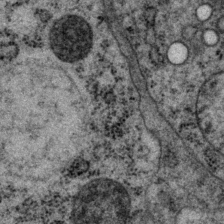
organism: P. pacificus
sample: Pharynx